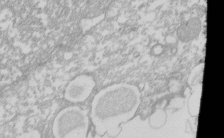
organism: Xenopus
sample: Cilia; centrioles in frog embryo cells